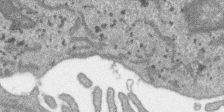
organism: Human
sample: Lung epithelial cells infected with SARS-CoV-2